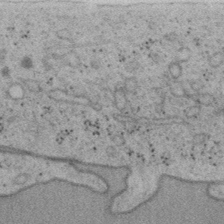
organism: Human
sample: HeLa cells